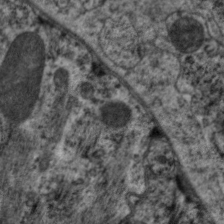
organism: C. elegans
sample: Pharynx